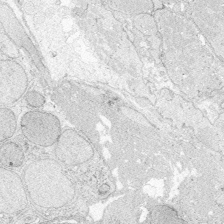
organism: Zebrafish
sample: Whole-Brain